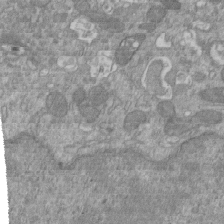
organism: Mouse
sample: ED-1 cell nuclei; centrioles